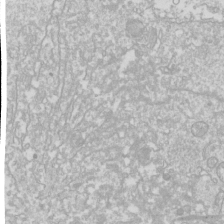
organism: Drosophila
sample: Cell division; meiosis; drosophila spermatocytes